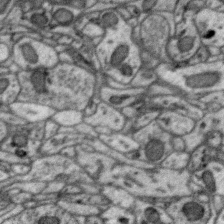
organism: Zebra finch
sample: Brain